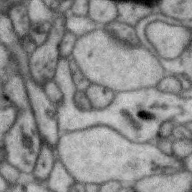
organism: Zebra finch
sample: Brain